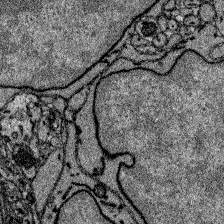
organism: Zebrafish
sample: Larval olfactory bulb